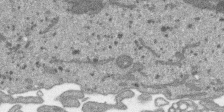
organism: Human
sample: Lung epithelial cells infected with SARS-CoV-2